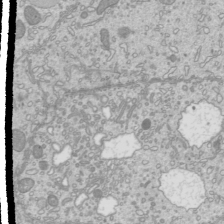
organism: Mouse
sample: Cilia; mouse epididymis